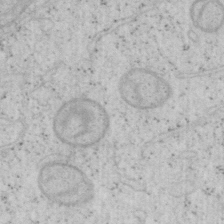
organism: Human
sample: HeLa cells